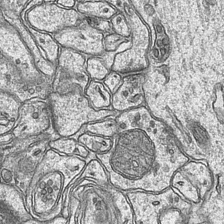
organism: Mouse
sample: CA1 Hippocampus